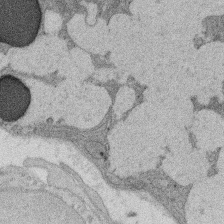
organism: Rat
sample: Salivary granule